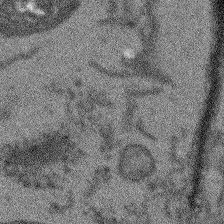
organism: Arabidopsis thaliana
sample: Root tip